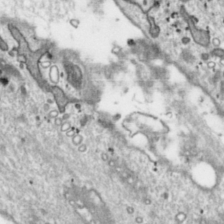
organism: Toxoplasma gondii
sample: Parasites in a vacuole inside a host cell